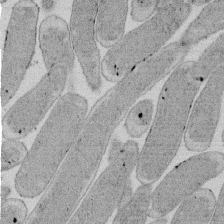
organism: E. coli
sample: Bacterial nucleoid